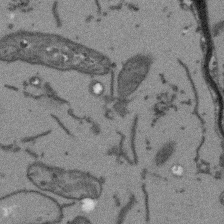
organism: Arabidopsis thaliana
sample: Root tip